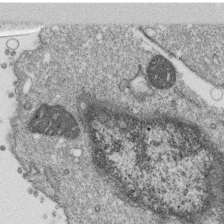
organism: African green monkey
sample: Vero E6 cells infected with SARS-CoV-2